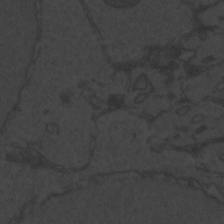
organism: Zebrafish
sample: Macrophage infected with Toxoplasma gondii